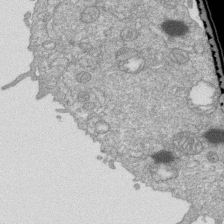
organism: Human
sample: HeLa cell HIV synapse